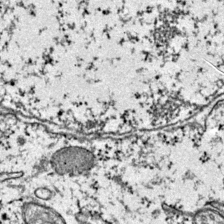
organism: Mouse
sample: Primary visual cortex